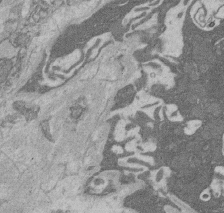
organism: Rat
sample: Salivary granule